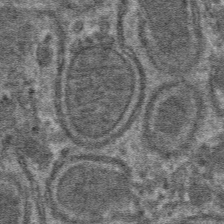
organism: Mouse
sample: Mouse hepatocytes